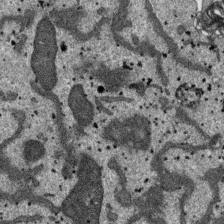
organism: Human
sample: Lung epithelial cells, uninfected (mock) control